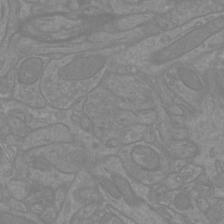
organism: Mouse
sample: Cortical neurons